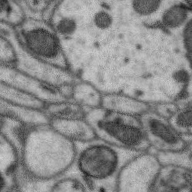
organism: Zebra finch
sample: Brain